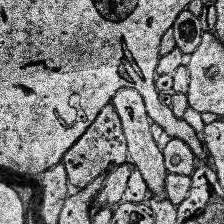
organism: Human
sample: Temporal Lobe